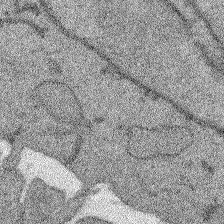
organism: Human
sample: HeLa cells